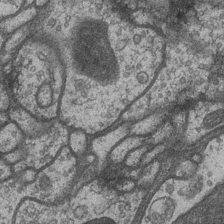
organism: Drosophila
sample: Optic medulla